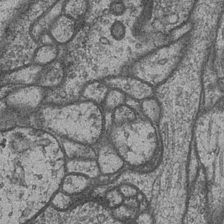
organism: Drosophila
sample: Optic medulla